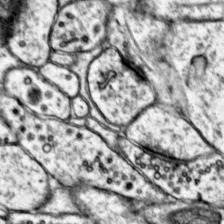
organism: Mouse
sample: Primary visual cortex